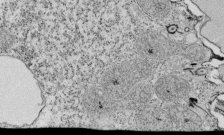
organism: Tetrahymena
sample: Cilia in tetrahymena